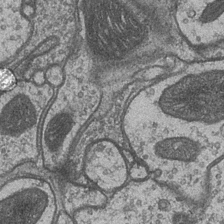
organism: Drosophila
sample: Optic medulla